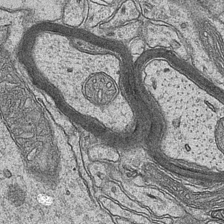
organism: Mouse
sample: CA1 Hippocampus